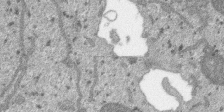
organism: Human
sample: Lung epithelial cells infected with SARS-CoV-2